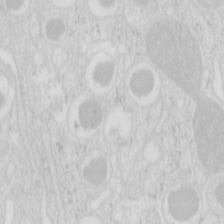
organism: Mouse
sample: Pancreas